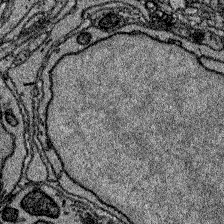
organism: Zebrafish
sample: Larval olfactory bulb